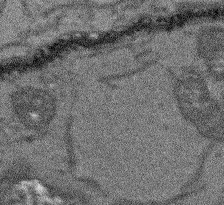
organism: Arabidopsis thaliana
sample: Root tip